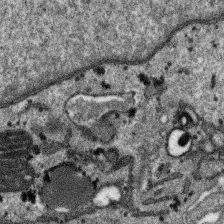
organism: Human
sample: Lung epithelial cells infected with SARS-CoV-2